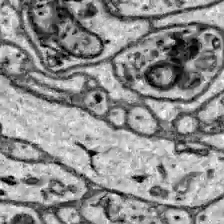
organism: Zebrafish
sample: Brain